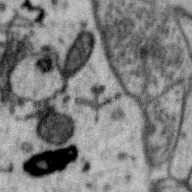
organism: Zebra finch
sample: Brain